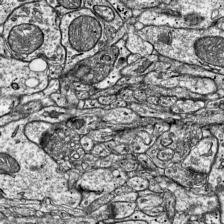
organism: Mouse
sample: Visual Cortex